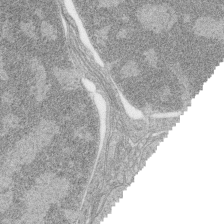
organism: Zebrafish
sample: synaptic ribbons in rod cells and cone cells